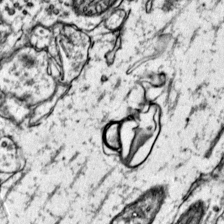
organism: Mouse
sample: Primary visual cortex